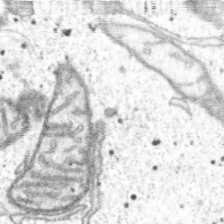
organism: Human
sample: HeLa cells